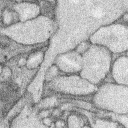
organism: Rabbit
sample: Retina